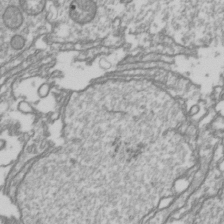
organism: Drosophila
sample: Cell division; meiosis; drosophila spermatocytes